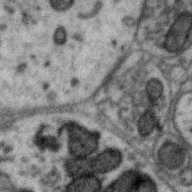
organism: Zebra finch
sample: Brain